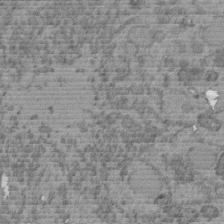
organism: C. elegans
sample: C. elegans embryo early stage